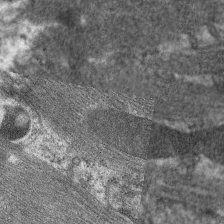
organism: C. elegans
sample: Pharynx